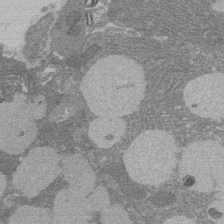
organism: Rat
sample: Salivary granule